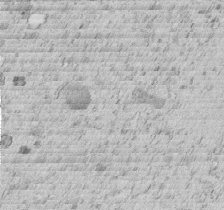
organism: C. elegans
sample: C. elegans embryo early stage